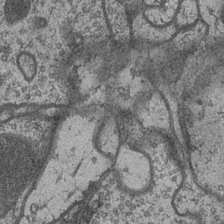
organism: Drosophila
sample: Optic medulla